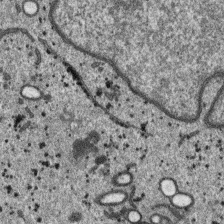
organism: Human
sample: Lung epithelial cells infected with SARS-CoV-2